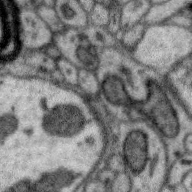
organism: Zebra finch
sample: Brain